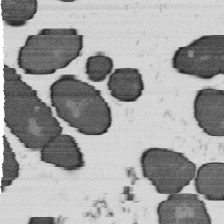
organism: B. subtilis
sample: Bacterial spore